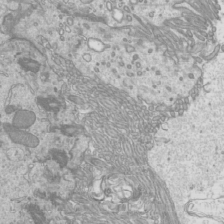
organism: Mouse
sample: Cilia; mouse epididymis